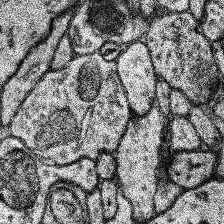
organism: Human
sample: Temporal Lobe